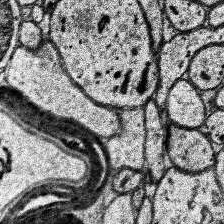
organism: Human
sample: Temporal Lobe